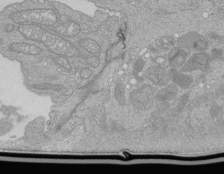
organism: Human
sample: Retinal organoid Rod and Cone cells